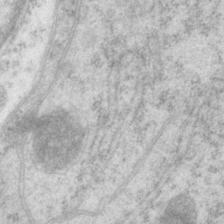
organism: P. pacificus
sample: Pharynx